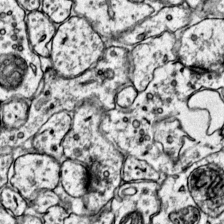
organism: Mouse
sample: Primary visual cortex